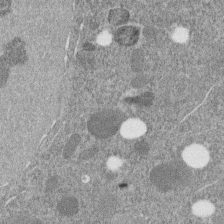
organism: C. elegans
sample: C. elegans embryo early stage